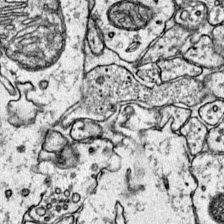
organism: Mouse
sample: Primary visual cortex